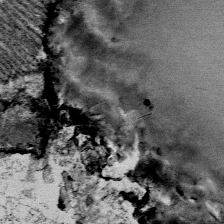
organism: Mouse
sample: Mouse Salivary gland